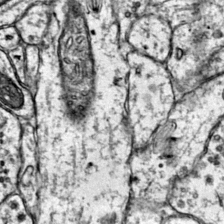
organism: Mouse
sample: Primary visual cortex